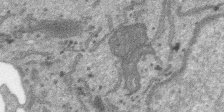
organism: Human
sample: Lung epithelial cells infected with SARS-CoV-2